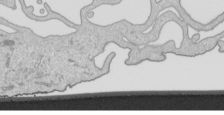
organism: Human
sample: Mitochondria in HCT116 cells